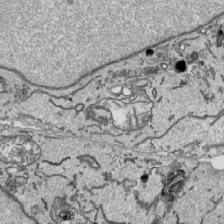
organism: Human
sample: Mitochondria in HCT116 cells